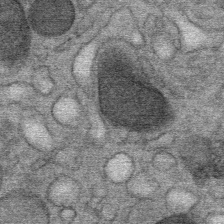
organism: Mouse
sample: Mouse Salivary gland